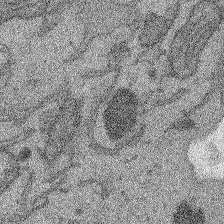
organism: Human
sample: HeLa cells